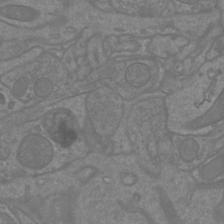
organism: Mouse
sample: Cortical neurons